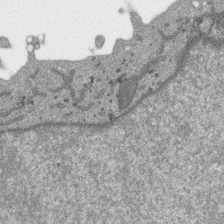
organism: Human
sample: Lung epithelial cells infected with SARS-CoV-2